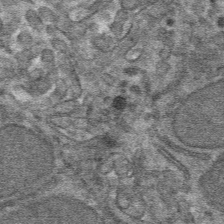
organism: Mouse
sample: Mouse hepatocytes